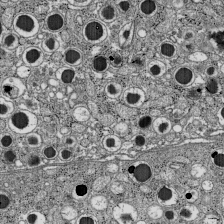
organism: C57BL Mouse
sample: Pancreatic islet